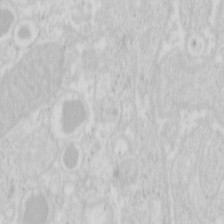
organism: Mouse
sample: Pancreas